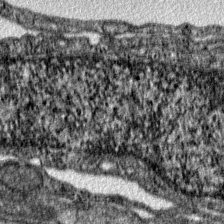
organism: Mouse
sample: Primary visual cortex